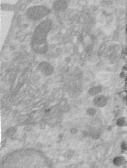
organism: Human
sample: Centriole in RPE cells